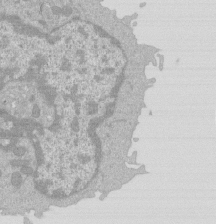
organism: Mouse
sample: Activated Pmel transgenic CD8+ T Cells